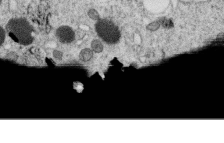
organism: C. elegans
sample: C. elegans oocyte; sperm cells